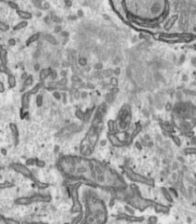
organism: Toxoplasma gondii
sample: Parasites in a vacuole inside a host cell